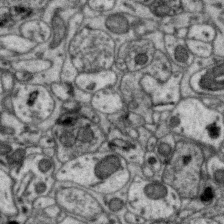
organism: Zebra finch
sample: Brain